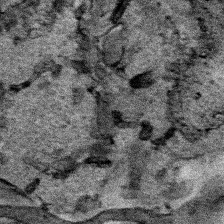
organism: Human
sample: Mitochondria in HCT116 cells